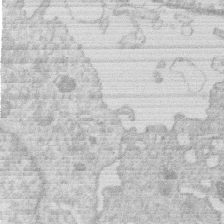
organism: Human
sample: Macrophage cells